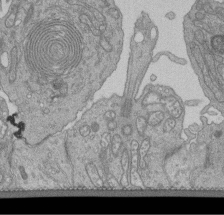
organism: Human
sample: Retinal organoid Rod and Cone cells